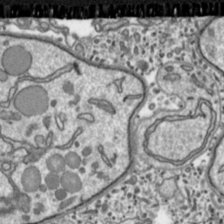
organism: Toxoplasma gondii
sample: Parasites in a vacuole inside a host cell